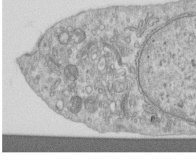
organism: Human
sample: Centriole in RPE cells